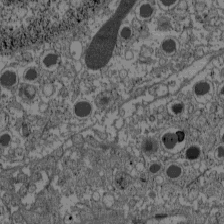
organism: C57BL Mouse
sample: Pancreatic islet